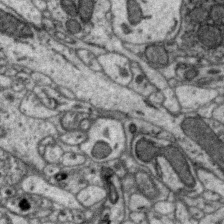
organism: Zebra finch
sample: Brain